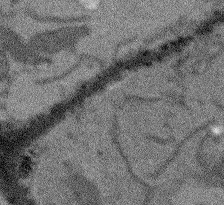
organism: Arabidopsis thaliana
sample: Root tip